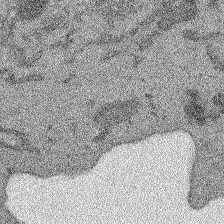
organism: Human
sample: HeLa cells